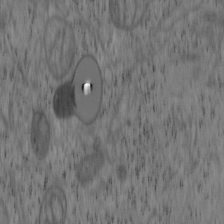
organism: Human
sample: HeLa cells